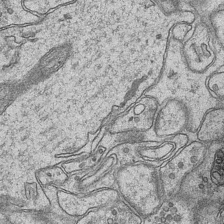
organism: Mouse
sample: CA1 Hippocampus